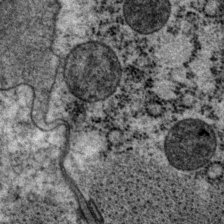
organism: P. pacificus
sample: Pharynx